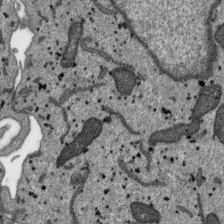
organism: Human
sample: Lung epithelial cells, uninfected (mock) control